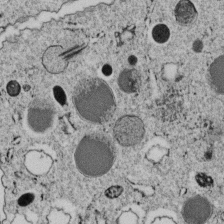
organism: C. elegans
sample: C. elegans embryo early stage